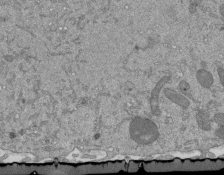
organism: Mouse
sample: ED-1 cell nuclei; centrioles